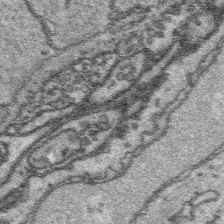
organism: Platynereis dumerilii